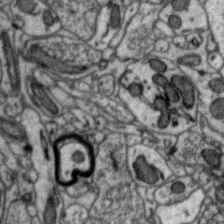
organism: Zebra finch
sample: Brain